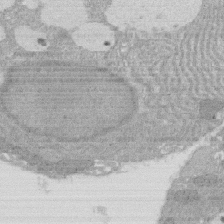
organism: Rat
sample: Salivary granule